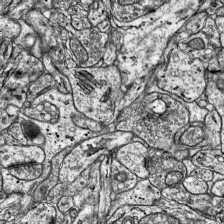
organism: Mouse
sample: Visual Cortex